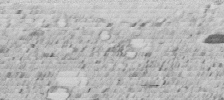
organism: C. elegans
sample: C. elegans embryo early stage